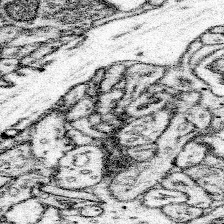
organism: Mouse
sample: Somatosensory cortex neuropil